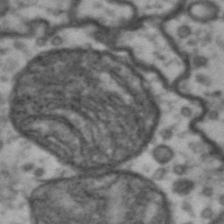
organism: Drosophila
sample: Brain